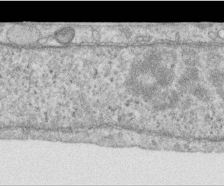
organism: Human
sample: Centriole in RPE cells